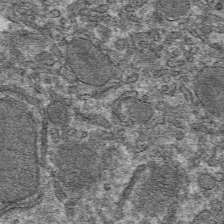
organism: Mouse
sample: Mouse hepatocytes